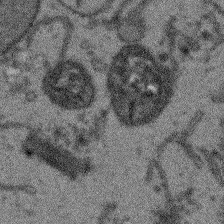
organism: Arabidopsis thaliana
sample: Root tip